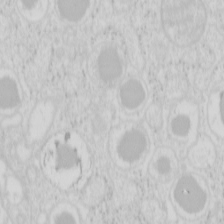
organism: Mouse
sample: Pancreas